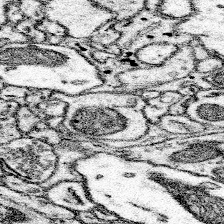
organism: Mouse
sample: Somatosensory cortex neuropil